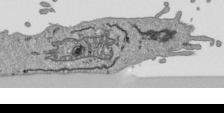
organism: Human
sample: Mitochondria in HCT116 cells